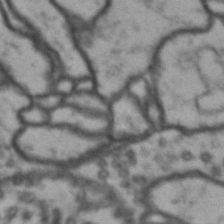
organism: Drosophila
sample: Brain